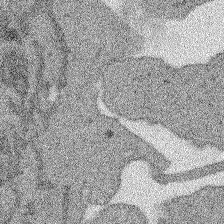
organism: Human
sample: HeLa cells